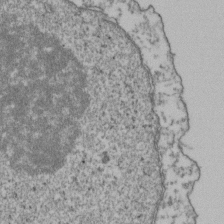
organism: Human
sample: Activated Jurkat CD4+ T cells